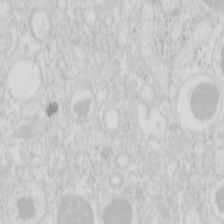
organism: Mouse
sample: Pancreas